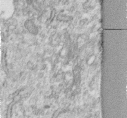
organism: Human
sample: Centriole in fibroblast cells